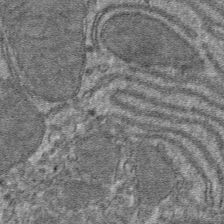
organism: Mouse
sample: Mouse hepatocytes